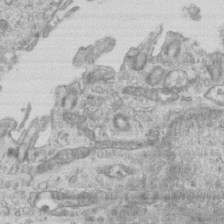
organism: Mouse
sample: Centriole in ependymal cells